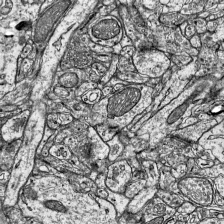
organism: Mouse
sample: Visual Cortex